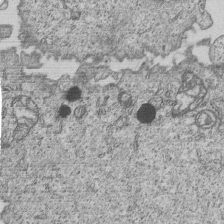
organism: Human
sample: MDA-MB-231 cells